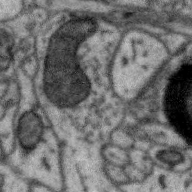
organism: Zebra finch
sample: Brain